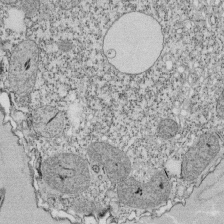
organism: Tetrahymena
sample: Cilia in tetrahymena